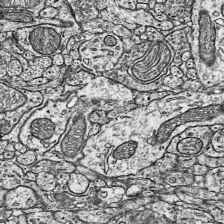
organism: Mouse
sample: Visual Cortex